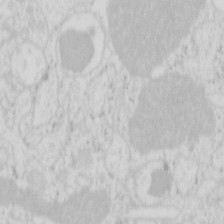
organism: Mouse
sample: Pancreas